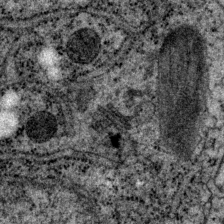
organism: P. pacificus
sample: Pharynx